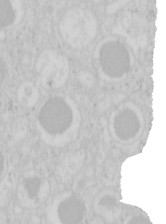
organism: Mouse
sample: Pancreas